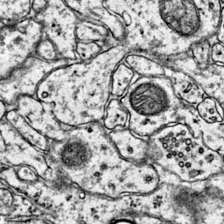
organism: Mouse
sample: Primary visual cortex